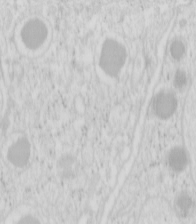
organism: Mouse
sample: Pancreas